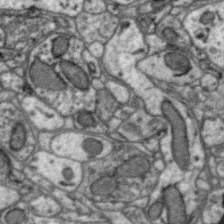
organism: Zebra finch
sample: Brain